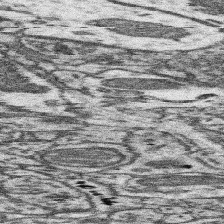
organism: Mouse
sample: Somatosensory cortex neuropil